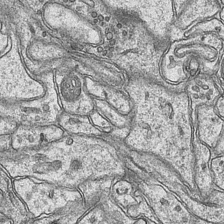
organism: Mouse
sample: CA1 Hippocampus